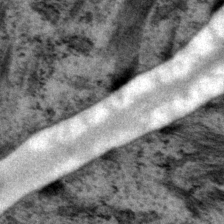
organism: P. pacificus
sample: Pharynx